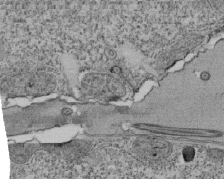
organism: Tetrahymena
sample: Cilia in tetrahymena